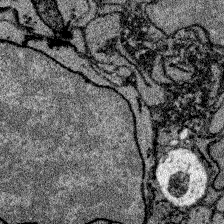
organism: Zebrafish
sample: Larval olfactory bulb